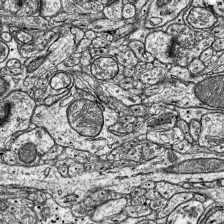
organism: Mouse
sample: Visual Cortex